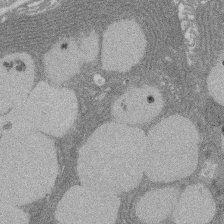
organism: Rat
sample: Salivary granule